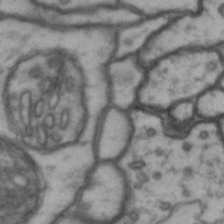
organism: Drosophila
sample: Brain